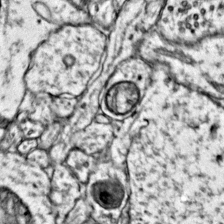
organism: Mouse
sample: Primary visual cortex